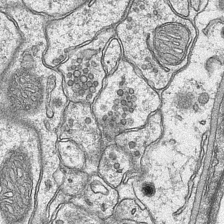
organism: Mouse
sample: CA1 Hippocampus